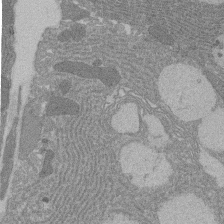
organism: Rat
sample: Salivary granule